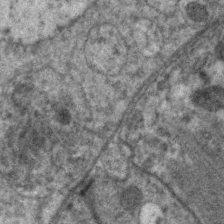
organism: C. elegans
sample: Pharynx